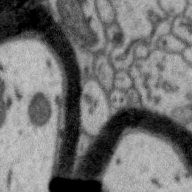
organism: Zebra finch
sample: Brain